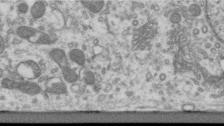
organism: Human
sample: Centriole in RPE cells